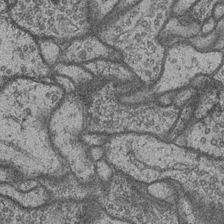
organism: Drosophila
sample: Optic medulla